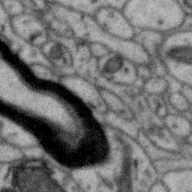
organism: Zebra finch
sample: Brain